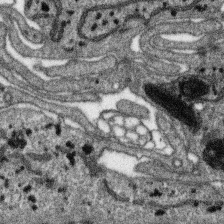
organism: Human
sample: Lung epithelial cells infected with SARS-CoV-2